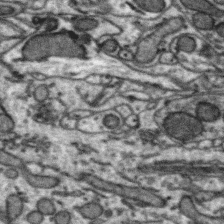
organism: Zebra finch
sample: Brain